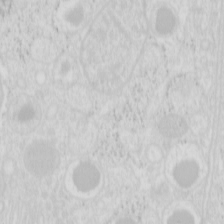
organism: Mouse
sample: Pancreas